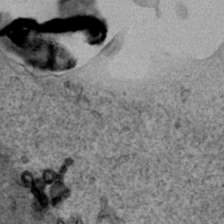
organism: Human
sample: Mitochondria in HCT116 cells